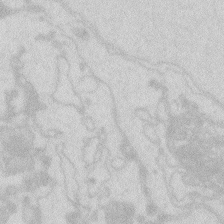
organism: Zebrafish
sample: Macrophage